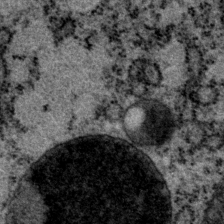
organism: P. pacificus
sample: Pharynx